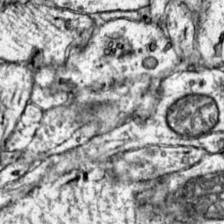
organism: Mouse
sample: Primary visual cortex